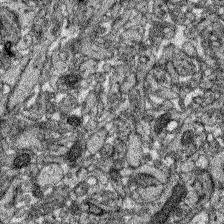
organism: Zebrafish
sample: Larval olfactory bulb